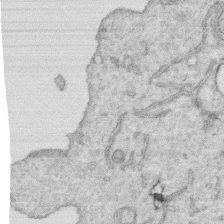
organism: Human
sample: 1205lu cells